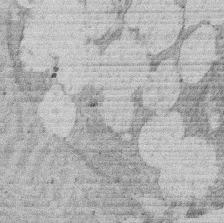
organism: Rat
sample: Salivary granule